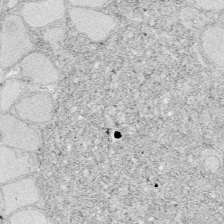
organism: Zebrafish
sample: Whole-Brain